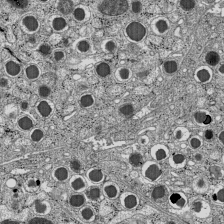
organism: C57BL Mouse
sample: Pancreatic islet